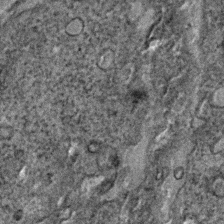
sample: Trachea